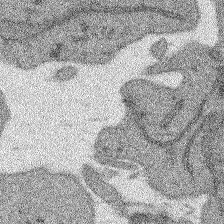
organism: Human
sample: HeLa cells